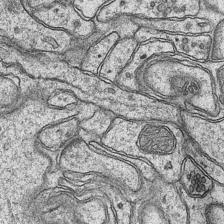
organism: Mouse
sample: CA1 Hippocampus